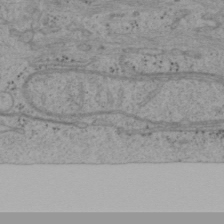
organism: Human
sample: HeLa cells